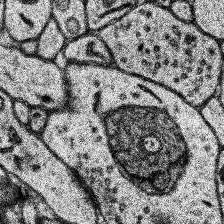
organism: Human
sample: Temporal Lobe